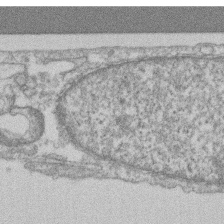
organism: Mouse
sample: T cell stromal cell synapse